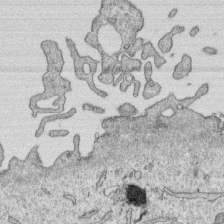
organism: Human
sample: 1205lu cells